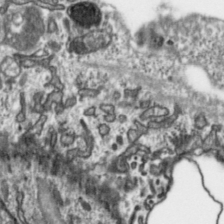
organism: Toxoplasma gondii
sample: Parasites in a vacuole inside a host cell